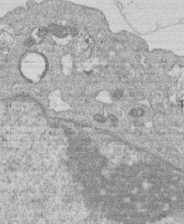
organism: Human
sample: Macrophage cells